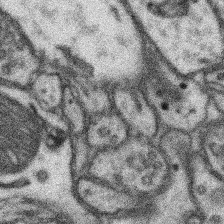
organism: Mouse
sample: Somatosensory cortex neuropil